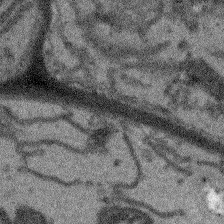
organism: Arabidopsis thaliana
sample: Root tip